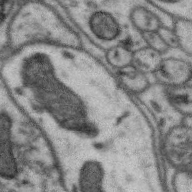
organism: Zebra finch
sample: Brain